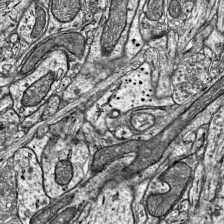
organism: Mouse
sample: Visual Cortex